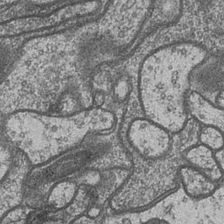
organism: Drosophila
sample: Optic medulla